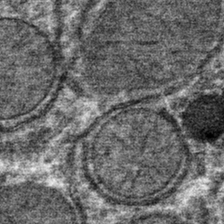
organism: Mouse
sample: Mouse hepatocytes